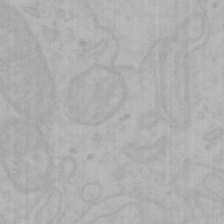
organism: Mouse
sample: Choroid plexus